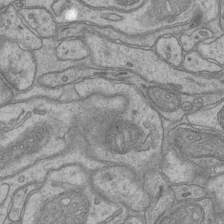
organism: Mouse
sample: CA1 Hippocampus